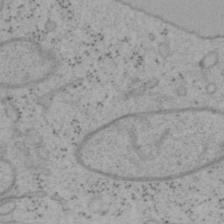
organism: Human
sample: HeLa cells